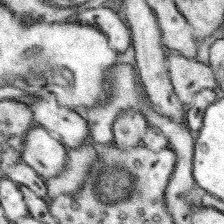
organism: Mouse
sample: Somatosensory cortex neuropil